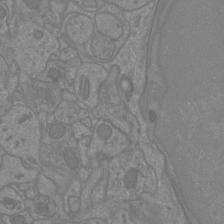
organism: Mouse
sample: Cortical neurons